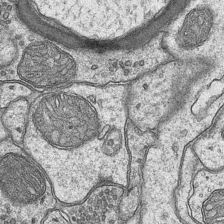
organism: Mouse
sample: CA1 Hippocampus